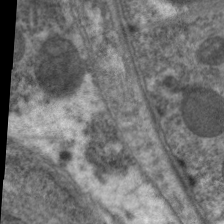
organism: C. elegans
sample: Pharynx